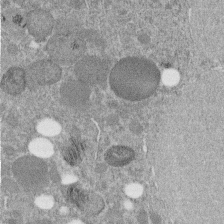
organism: C. elegans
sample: C. elegans embryo early stage